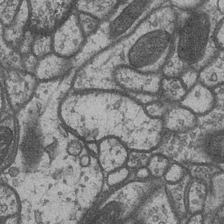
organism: Drosophila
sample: Optic medulla